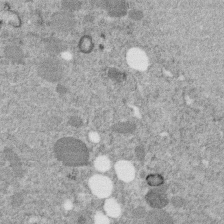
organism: C. elegans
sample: C. elegans embryo early stage